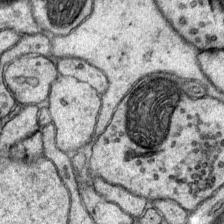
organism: Mouse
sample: Primary visual cortex